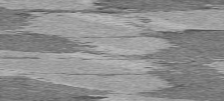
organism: C57BL Mouse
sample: Heart